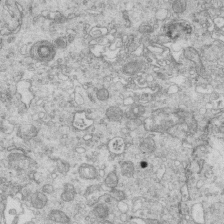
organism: Mouse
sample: Multiciliated cells